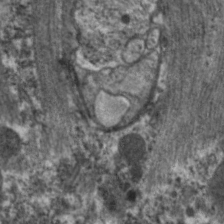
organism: C. elegans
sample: Pharynx